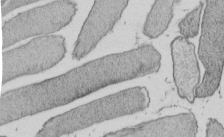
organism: E. coli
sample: Bacterial nucleoid